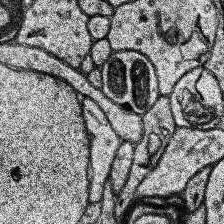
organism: Human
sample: Temporal Lobe